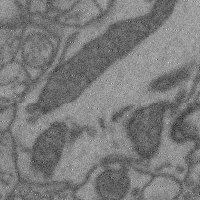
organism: Mouse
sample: Cerebral cortex